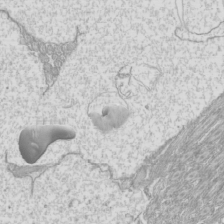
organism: Mouse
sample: Cilia; mouse epididymis